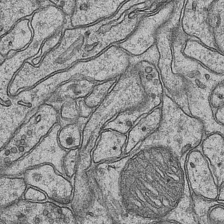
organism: Mouse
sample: CA1 Hippocampus